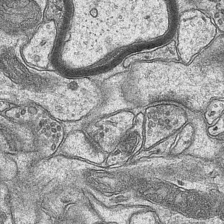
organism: Mouse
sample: CA1 Hippocampus